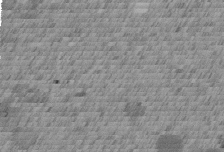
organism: C. elegans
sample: C. elegans embryo early stage